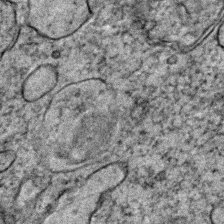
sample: Trachea